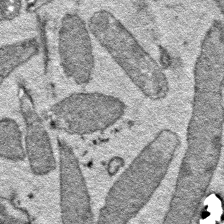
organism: E. coli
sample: E. Coli Bacteria